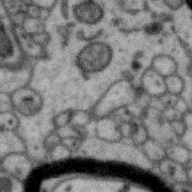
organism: Zebra finch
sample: Brain